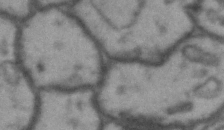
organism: Drosophila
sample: Brain